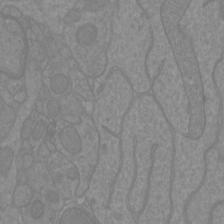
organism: Mouse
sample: Cortical neurons